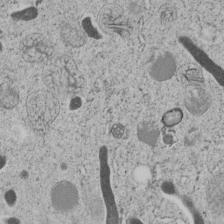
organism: C. elegans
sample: C. elegans embryo early stage